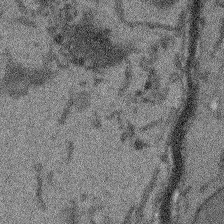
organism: Arabidopsis thaliana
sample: Root tip